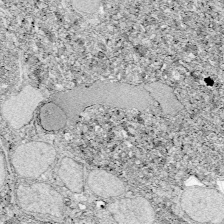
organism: Zebrafish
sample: Whole-Brain